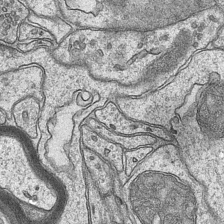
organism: Mouse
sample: CA1 Hippocampus